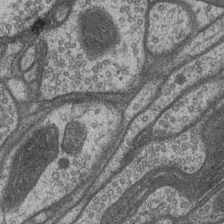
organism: Drosophila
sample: Optic medulla